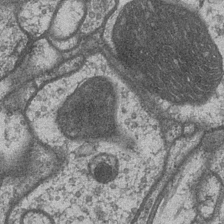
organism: Drosophila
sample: Optic medulla